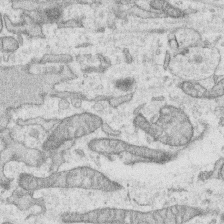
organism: Human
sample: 1205lu cells